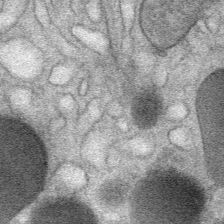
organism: Mouse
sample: Mouse Salivary gland